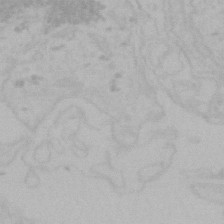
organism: Mouse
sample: Choroid plexus